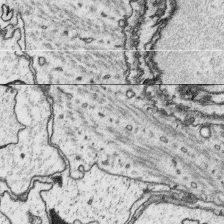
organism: Platynereis dumerilii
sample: Parapodia